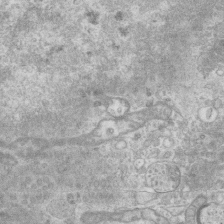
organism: Mouse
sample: Centriole in ependymal cells